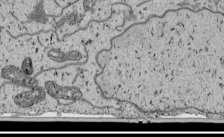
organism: Human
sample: Mitochondria in HCT116 cells